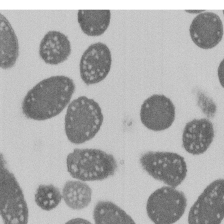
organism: E. coli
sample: Bacterial nucleoid